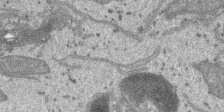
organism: Human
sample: Lung epithelial cells infected with SARS-CoV-2